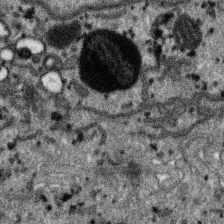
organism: Human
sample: Lung epithelial cells infected with SARS-CoV-2